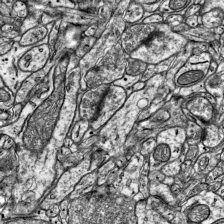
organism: Mouse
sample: Visual Cortex